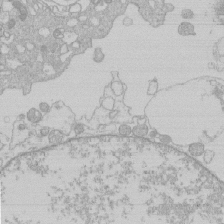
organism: Human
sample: Macrophage cells